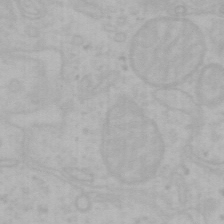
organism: Mouse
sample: Choroid plexus